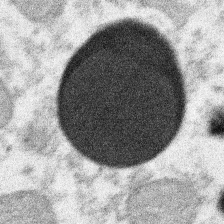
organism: Xenopus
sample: Cilia; centrioles in frog embryo cells